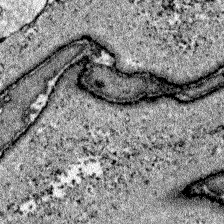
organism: Zebrafish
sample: Larval olfactory bulb